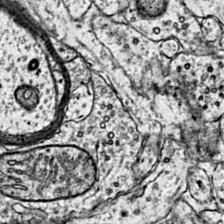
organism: Mouse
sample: Primary visual cortex